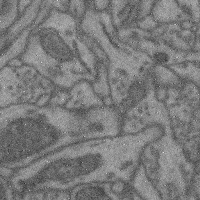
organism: Mouse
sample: Cerebral cortex